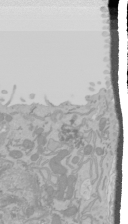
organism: Mouse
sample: Cancer cell death in ED-1 cells